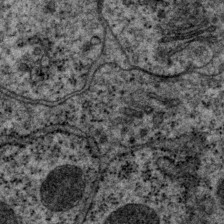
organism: P. pacificus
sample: Pharynx